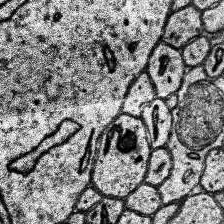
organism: Human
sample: Temporal Lobe